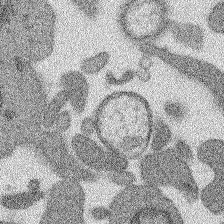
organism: Human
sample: HeLa cells